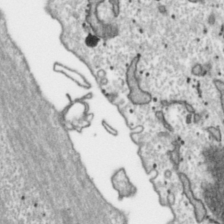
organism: Toxoplasma gondii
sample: Parasites in a vacuole inside a host cell